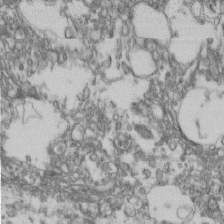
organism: Mouse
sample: Cilia; retinal pigment epithelium